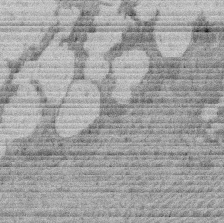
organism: Rat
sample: Salivary granule